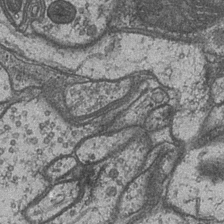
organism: Drosophila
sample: Optic medulla